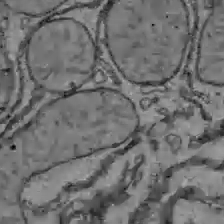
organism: C57BL Mouse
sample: Liver